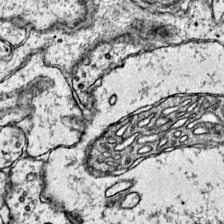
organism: Mouse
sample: Primary visual cortex